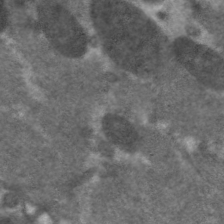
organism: C. elegans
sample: Pharynx